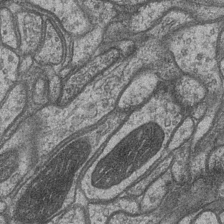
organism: Drosophila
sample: Optic medulla